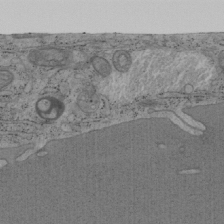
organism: Human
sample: HeLa cells